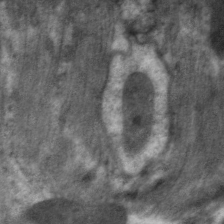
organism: C. elegans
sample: Pharynx